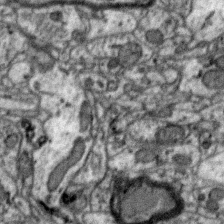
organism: Zebra finch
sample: Brain